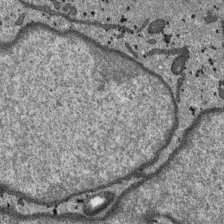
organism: Human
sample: Lung epithelial cells, uninfected (mock) control